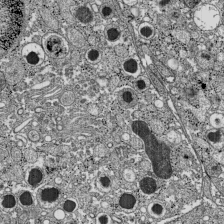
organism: C57BL Mouse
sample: Pancreatic islet